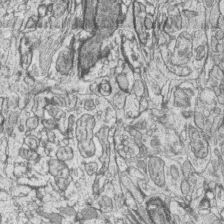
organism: Zebrafish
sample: synaptic ribbons in rod cells and cone cells